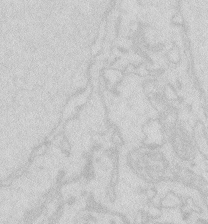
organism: Zebrafish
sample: Macrophage